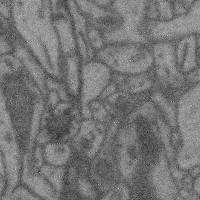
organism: Mouse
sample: Cerebral cortex